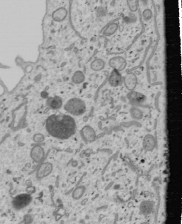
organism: Human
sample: Mitochondria in U2OS cells